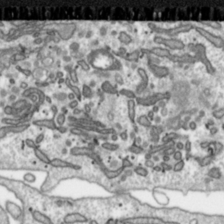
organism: Toxoplasma gondii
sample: Parasites in a vacuole inside a host cell